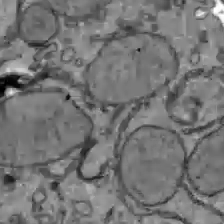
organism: C57BL Mouse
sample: Liver